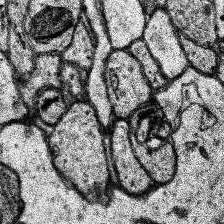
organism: Human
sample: Temporal Lobe